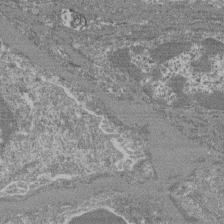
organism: Mouse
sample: Glomerulus